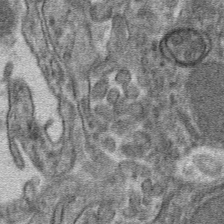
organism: Mouse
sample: Mouse hepatocytes